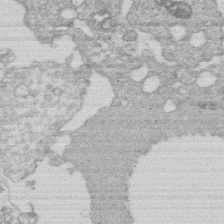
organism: Human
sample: Macrophage cells